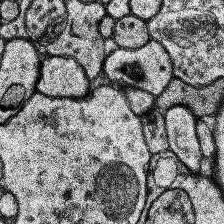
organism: Human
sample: Temporal Lobe